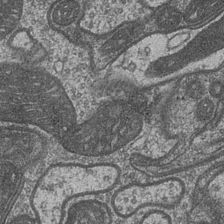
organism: Drosophila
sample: Optic medulla